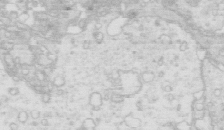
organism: Mouse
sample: Multiciliated cells